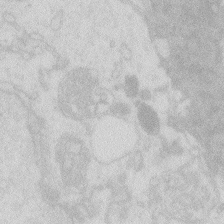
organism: Zebrafish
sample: Macrophage